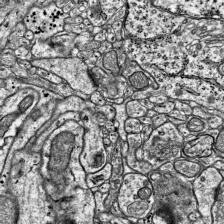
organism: Mouse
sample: Visual Cortex